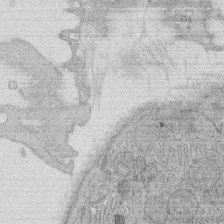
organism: Rat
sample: Salivary granule